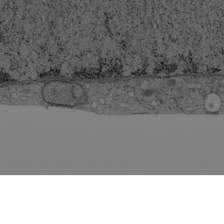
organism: African green monkey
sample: COS-7 cells